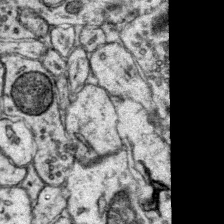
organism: Mouse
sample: Primary visual cortex